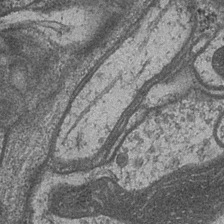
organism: Drosophila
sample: Optic medulla